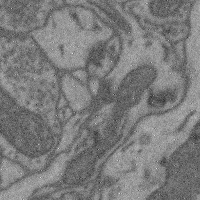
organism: Mouse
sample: Cerebral cortex